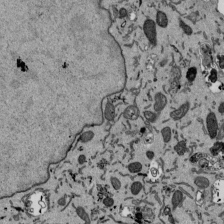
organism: Mouse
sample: ED-1 cell nuclei; centrioles